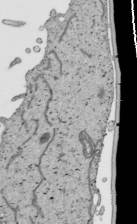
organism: Human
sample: Mitochondria in HCT116 cells